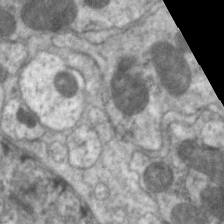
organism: C. elegans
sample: Pharynx